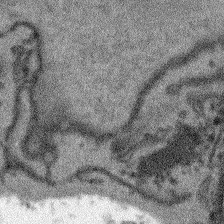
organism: Arabidopsis thaliana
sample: Root tip